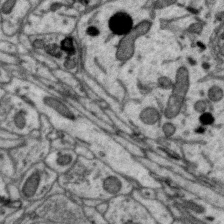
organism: Zebra finch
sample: Brain